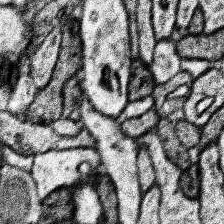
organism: Human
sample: Temporal Lobe